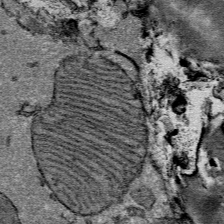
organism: Mouse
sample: Mouse Salivary gland